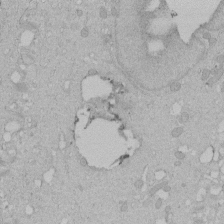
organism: Human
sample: Melanocyte Keratinocyte synapse skin construct